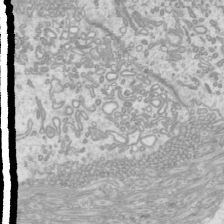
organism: Mouse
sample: Cilia; mouse epididymis